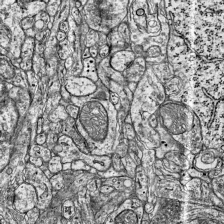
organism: Mouse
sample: Visual Cortex